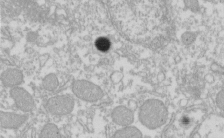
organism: Xenopus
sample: Cilia; centrioles in frog embryo cells